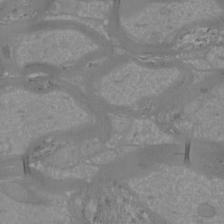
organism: Mouse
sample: Cortical neurons